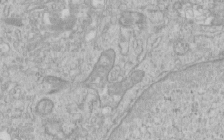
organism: Human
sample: Centriole in RPE cells